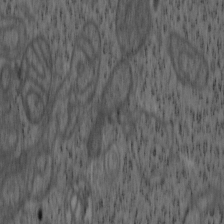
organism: Human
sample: HeLa cells